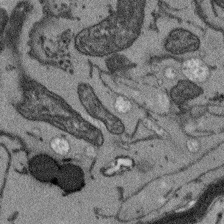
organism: Arabidopsis thaliana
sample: Root tip